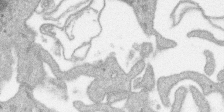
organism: Human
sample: Lung epithelial cells infected with SARS-CoV-2